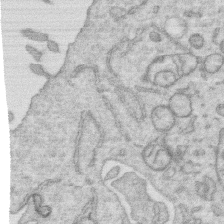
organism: Human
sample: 1205lu cells